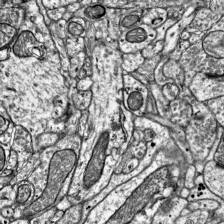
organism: Mouse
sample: Visual Cortex